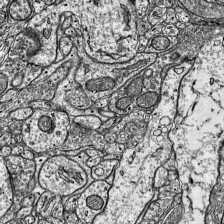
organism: Mouse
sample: Visual Cortex